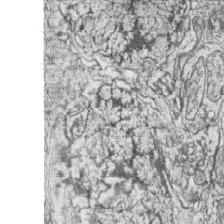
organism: Zebrafish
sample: synaptic ribbons in rod cells and cone cells